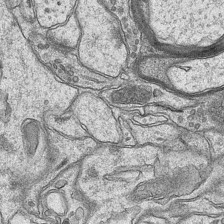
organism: Mouse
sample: CA1 Hippocampus